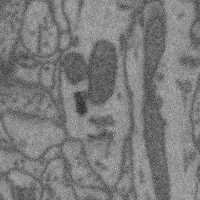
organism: Mouse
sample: Cerebral cortex